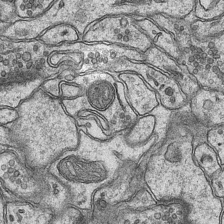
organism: Mouse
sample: CA1 Hippocampus